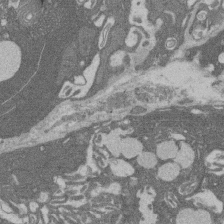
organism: Rat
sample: Salivary granule